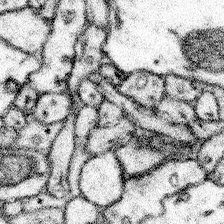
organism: Mouse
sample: Somatosensory cortex neuropil